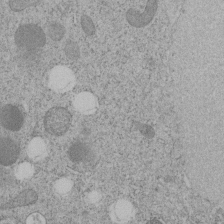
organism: C. elegans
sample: C. elegans embryo early stage